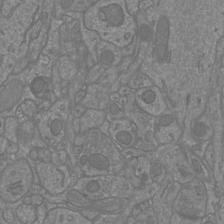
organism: Mouse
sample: Cortical neurons